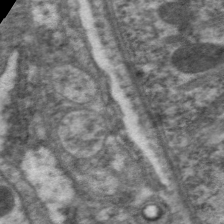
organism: C. elegans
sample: Pharynx